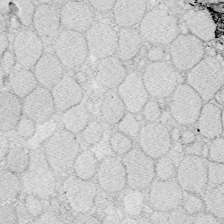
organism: Zebrafish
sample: Whole-Brain